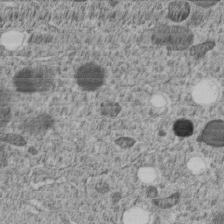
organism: C. elegans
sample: C. elegans embryo early stage